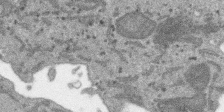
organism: Human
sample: Lung epithelial cells infected with SARS-CoV-2